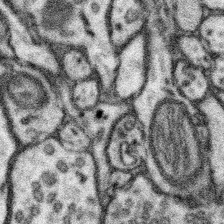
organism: Mouse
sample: Somatosensory cortex neuropil